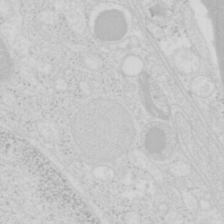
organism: Mouse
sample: Pancreas